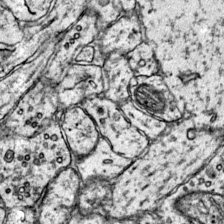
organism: Mouse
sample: Primary visual cortex